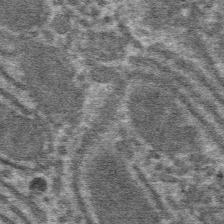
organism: Mouse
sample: Mouse hepatocytes